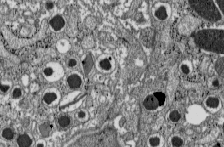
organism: C57BL Mouse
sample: Pancreatic islet